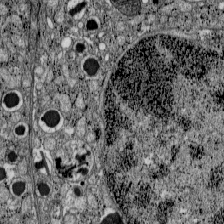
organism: C57BL Mouse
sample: Pancreatic islet